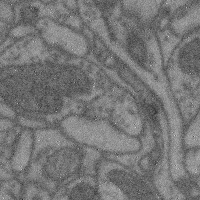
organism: Mouse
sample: Cerebral cortex